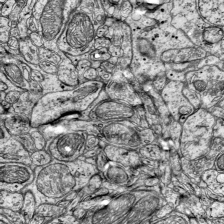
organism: Mouse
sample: Visual Cortex